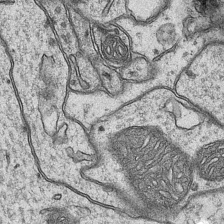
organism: Mouse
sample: CA1 Hippocampus